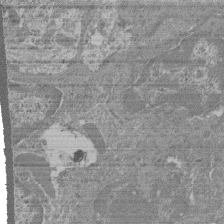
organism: Mouse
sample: Glomerulus